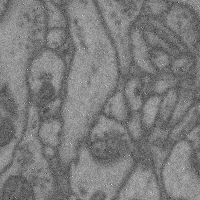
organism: Mouse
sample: Cerebral cortex